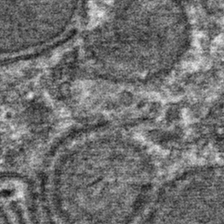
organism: Mouse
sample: Mouse hepatocytes